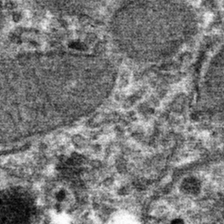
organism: Mouse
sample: Mouse hepatocytes